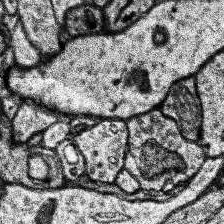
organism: Human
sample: Temporal Lobe